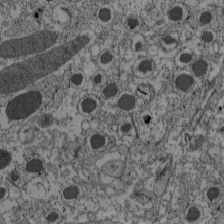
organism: C57BL Mouse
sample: Pancreatic islet